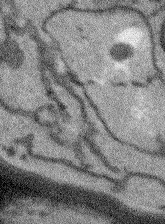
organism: Arabidopsis thaliana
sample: Root tip